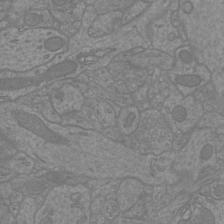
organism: Mouse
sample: Cortical neurons